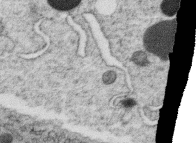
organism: C. elegans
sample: C. elegans oocyte; sperm cells